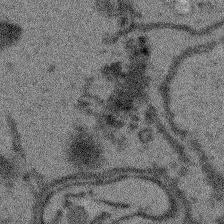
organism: Arabidopsis thaliana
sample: Root tip